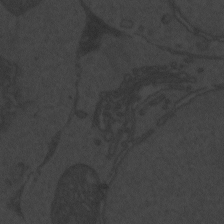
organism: Zebrafish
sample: Macrophage infected with Toxoplasma gondii